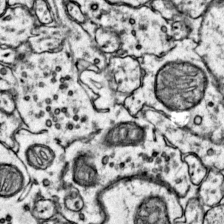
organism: Mouse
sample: Primary visual cortex